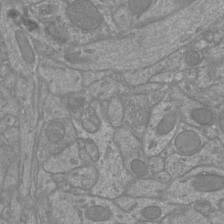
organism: Mouse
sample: Cortical neurons